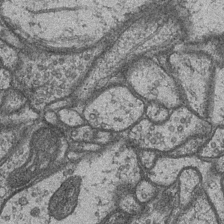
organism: Drosophila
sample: Optic medulla